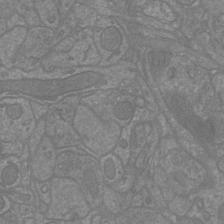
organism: Mouse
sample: Cortical neurons